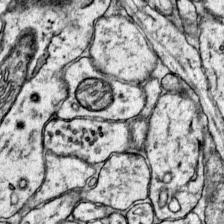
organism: Mouse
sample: Primary visual cortex